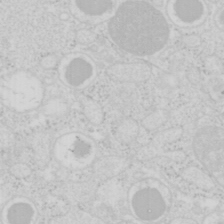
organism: Mouse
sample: Pancreas